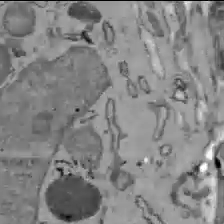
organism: C57BL Mouse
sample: Liver